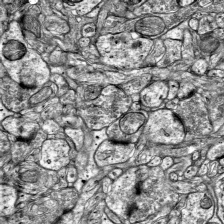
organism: Mouse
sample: Visual Cortex